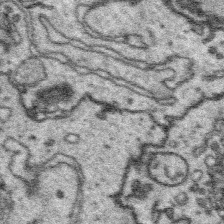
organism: Platynereis dumerilii